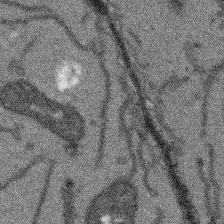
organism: Arabidopsis thaliana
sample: Root tip